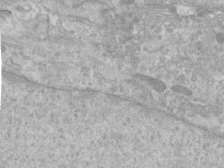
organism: Human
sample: Centriole in RPE cells